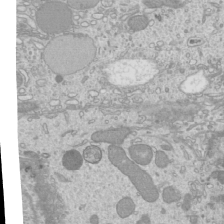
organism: Mouse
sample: Cilia; mouse epididymis